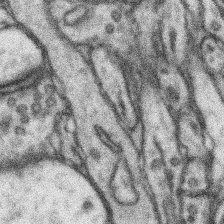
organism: Mouse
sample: Somatosensory cortex neuropil